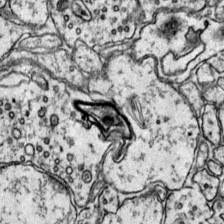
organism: Mouse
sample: Primary visual cortex